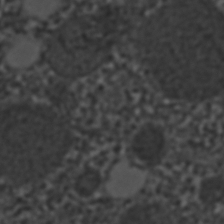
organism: C. elegans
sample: C. elegans embryo